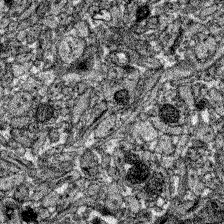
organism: Zebrafish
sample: Larval olfactory bulb